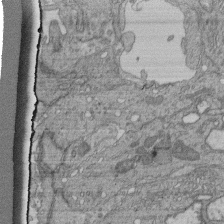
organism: Human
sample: Retinal organoid Rod and Cone cells